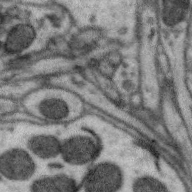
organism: Zebra finch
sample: Brain